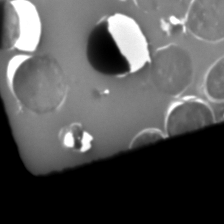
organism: C. elegans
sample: C. elegans embryo